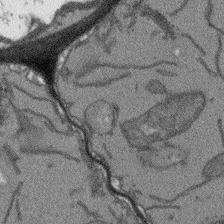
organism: Arabidopsis thaliana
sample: Root tip